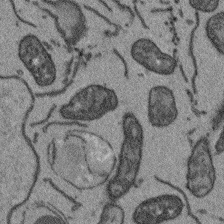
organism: Arabidopsis thaliana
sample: Root tip